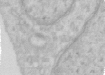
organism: Human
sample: Centriole in RPE cells